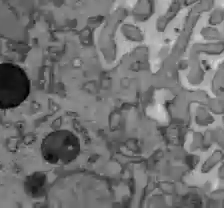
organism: C57BL Mouse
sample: Liver